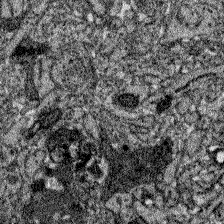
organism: Zebrafish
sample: Larval olfactory bulb